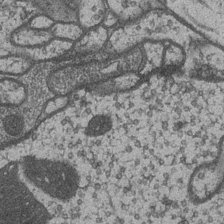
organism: Drosophila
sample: Optic medulla